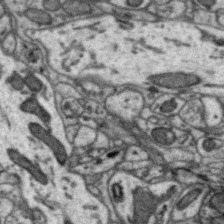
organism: Zebra finch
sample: Brain